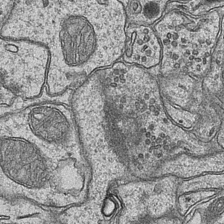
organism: Mouse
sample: CA1 Hippocampus